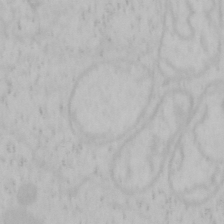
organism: Human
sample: HeLa cells